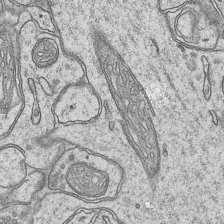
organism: Mouse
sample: CA1 Hippocampus